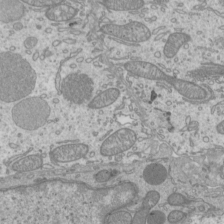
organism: Mouse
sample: Cilia; mouse epididymis